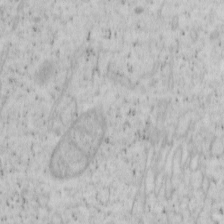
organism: Human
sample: HeLa cells